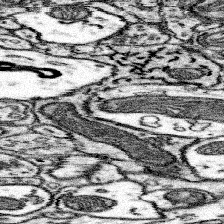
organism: Mouse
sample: Somatosensory cortex neuropil